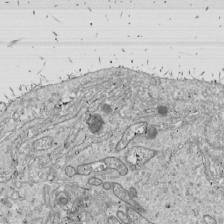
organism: Drosophila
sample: Cell division; meiosis; drosophila spermatocytes